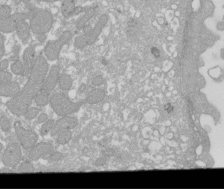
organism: Xenopus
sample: Cilia; centrioles in frog embryo cells